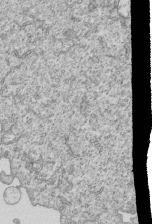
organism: Human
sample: MDA-MB-231 cells